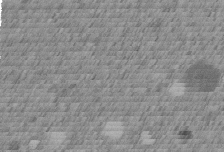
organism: C. elegans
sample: C. elegans embryo early stage